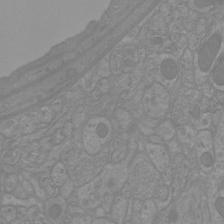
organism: Mouse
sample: Cortical neurons